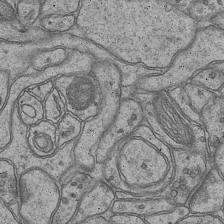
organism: Mouse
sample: CA1 Hippocampus